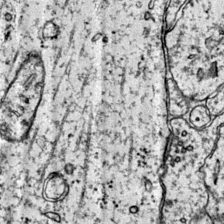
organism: Mouse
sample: Primary visual cortex